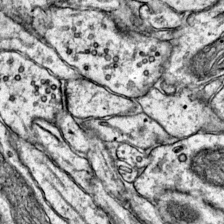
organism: Mouse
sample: Primary visual cortex